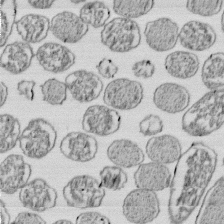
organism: E. coli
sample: Bacterial nucleoid